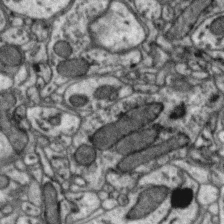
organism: Zebra finch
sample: Brain